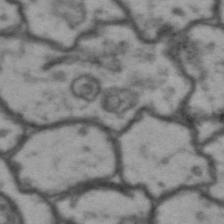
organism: Drosophila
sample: Brain